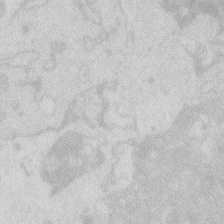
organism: Zebrafish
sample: Macrophage